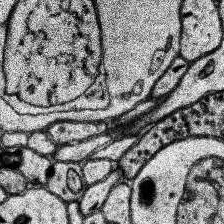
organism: Human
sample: Temporal Lobe